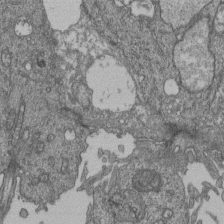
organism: Human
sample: Retinal organoid Rod and Cone cells